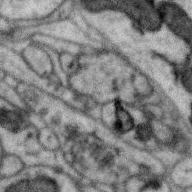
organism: Zebra finch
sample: Brain